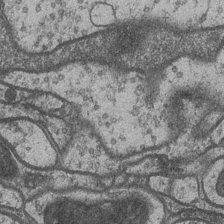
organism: Drosophila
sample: Optic medulla